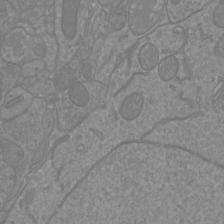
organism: Mouse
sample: Cortical neurons